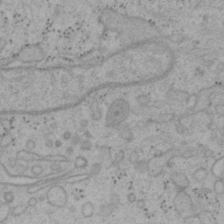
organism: Human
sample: HeLa cells